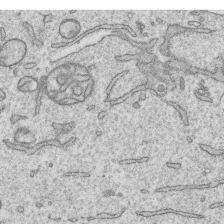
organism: Human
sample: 1205lu cells